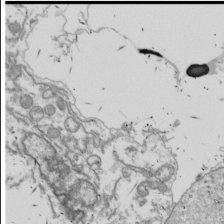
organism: Drosophila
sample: Cell division; meiosis; drosophila spermatocytes